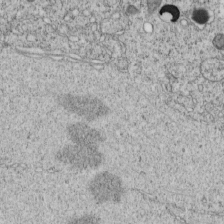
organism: C. elegans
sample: C. elegans embryo early stage